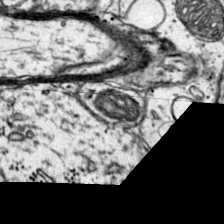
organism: Mouse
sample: Primary visual cortex